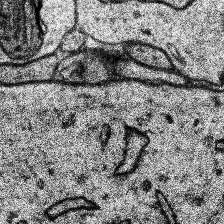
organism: Human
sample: Temporal Lobe